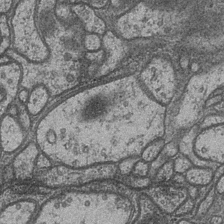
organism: Drosophila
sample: Optic medulla